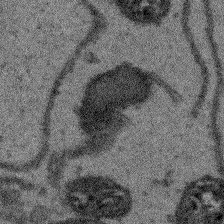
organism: Arabidopsis thaliana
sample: Root tip